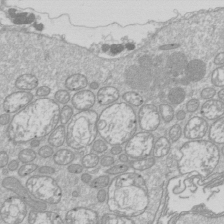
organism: Drosophila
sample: Cell division; meiosis; drosophila spermatocytes